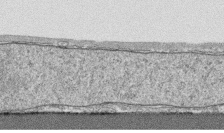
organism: Human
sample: CRL-1474